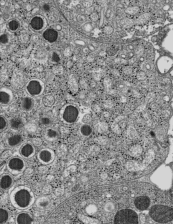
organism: C57BL Mouse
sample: Pancreatic islet